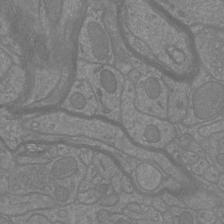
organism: Mouse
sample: Cortical neurons